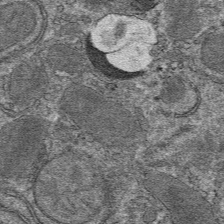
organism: Mouse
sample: Mouse hepatocytes